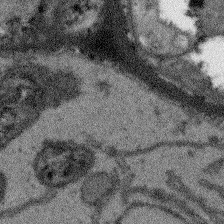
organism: Arabidopsis thaliana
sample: Root tip